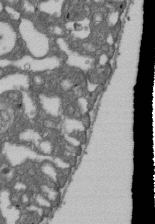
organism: Drosophila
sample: Nephrocyte